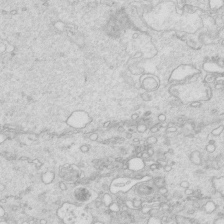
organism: Mouse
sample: Multiciliated cells